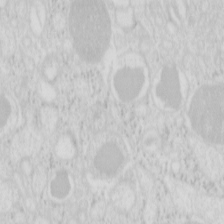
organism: Mouse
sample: Pancreas